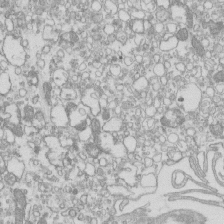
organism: Mouse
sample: Macrophages